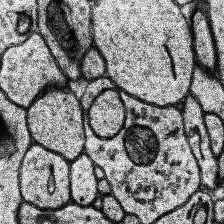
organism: Human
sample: Temporal Lobe